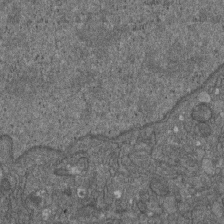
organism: Drosophila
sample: Nephrocyte